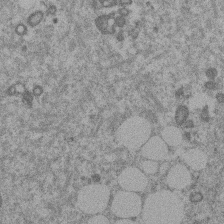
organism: Mouse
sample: Dividing mouse embryo 1 cell stage